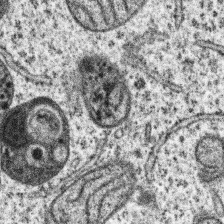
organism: Human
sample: HeLa cells